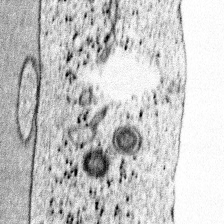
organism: Human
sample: HeLa cells